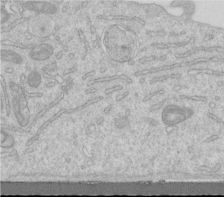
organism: Human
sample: Centriole in RPE cells